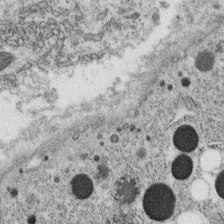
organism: C. elegans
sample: C. elegans oocyte; sperm cells